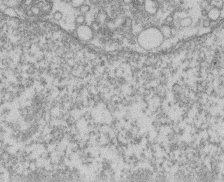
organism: Mouse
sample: T cell stromal cell synapse